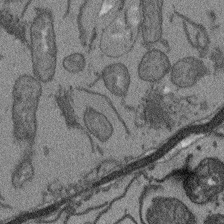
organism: Arabidopsis thaliana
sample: Root tip